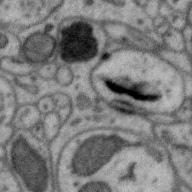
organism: Zebra finch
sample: Brain